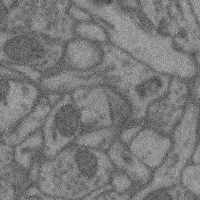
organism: Mouse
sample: Cerebral cortex